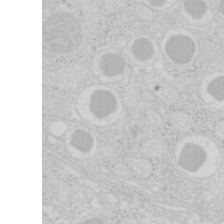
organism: Mouse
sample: Pancreas